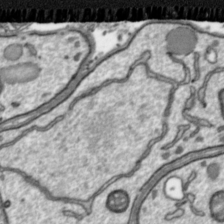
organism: Toxoplasma gondii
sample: Parasites in a vacuole inside a host cell